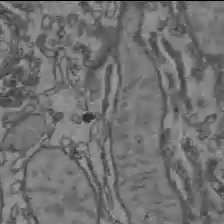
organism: C57BL Mouse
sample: Liver